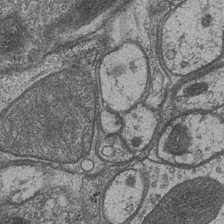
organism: Drosophila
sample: Optic medulla